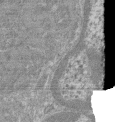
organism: Mouse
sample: Glomerulus